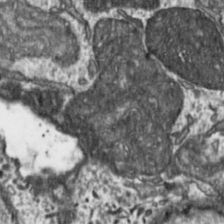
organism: Toxoplasma gondii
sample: Parasites in a vacuole inside a host cell